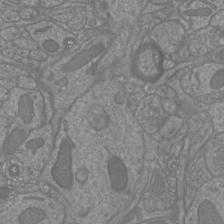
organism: Mouse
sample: Cortical neurons